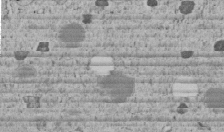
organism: C. elegans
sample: C. elegans embryo early stage